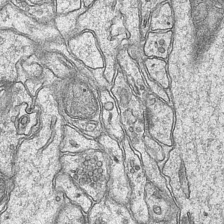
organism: Mouse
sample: CA1 Hippocampus